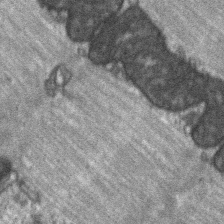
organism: C57BL Mouse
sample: Soleus